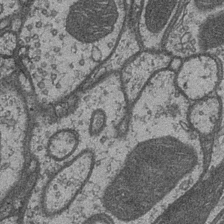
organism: Drosophila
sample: Optic medulla